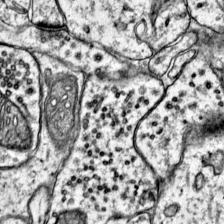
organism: Mouse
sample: Primary visual cortex